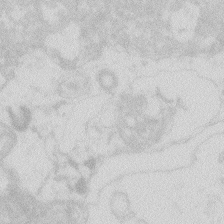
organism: Zebrafish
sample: Macrophage